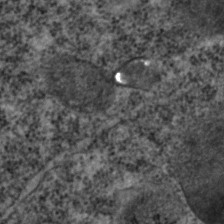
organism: C. elegans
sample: C. elegans embryo